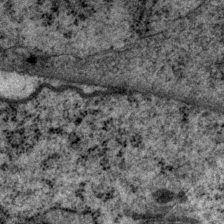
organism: P. pacificus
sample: Pharynx